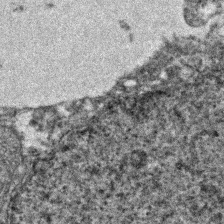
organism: Zebrafish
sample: Zebrafish embryo